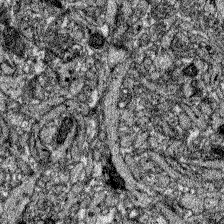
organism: Zebrafish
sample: Larval olfactory bulb